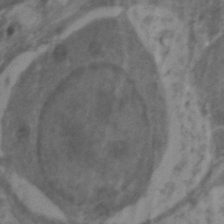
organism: Zebrafish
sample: Zebrafish embryo